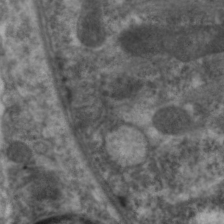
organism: C. elegans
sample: Pharynx